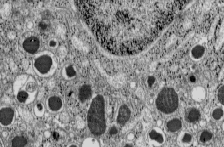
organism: C57BL Mouse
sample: Pancreatic islet